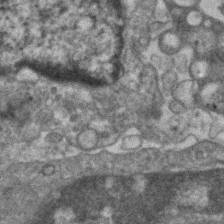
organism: Human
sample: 1205lu cells